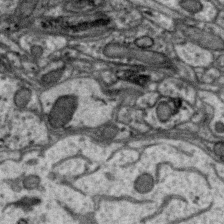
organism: Zebra finch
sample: Brain